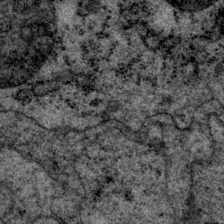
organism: P. pacificus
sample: Pharynx